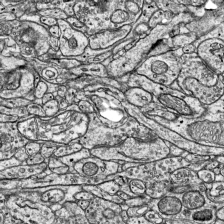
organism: Mouse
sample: Visual Cortex